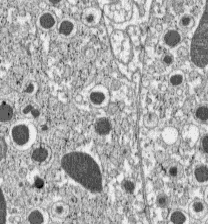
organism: C57BL Mouse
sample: Pancreatic islet